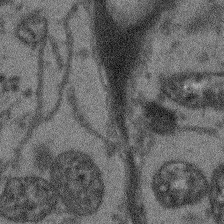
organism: Arabidopsis thaliana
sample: Root tip